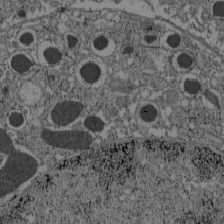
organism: C57BL Mouse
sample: Pancreatic islet